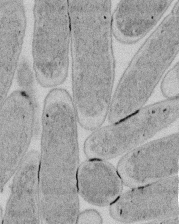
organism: E. coli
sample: Bacterial nucleoid